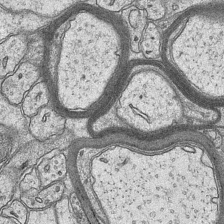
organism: Mouse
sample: CA1 Hippocampus